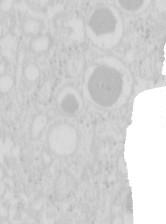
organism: Mouse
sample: Pancreas